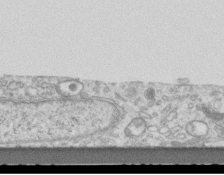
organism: Mouse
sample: Centriole in ependymal cells